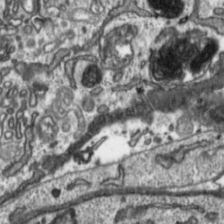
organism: Toxoplasma gondii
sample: Parasites in a vacuole inside a host cell